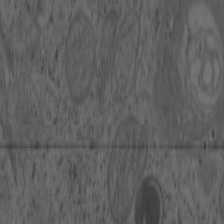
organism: Human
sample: HeLa cells